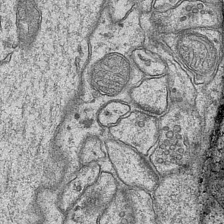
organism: Mouse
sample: CA1 Hippocampus